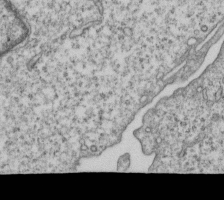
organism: Human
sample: MDA-MB-231 cells